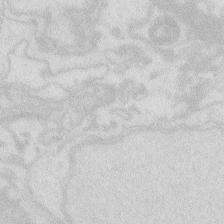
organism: Zebrafish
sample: Macrophage